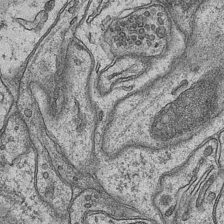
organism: Mouse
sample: CA1 Hippocampus